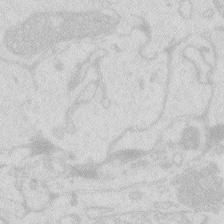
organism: Zebrafish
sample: Macrophage